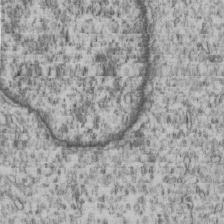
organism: Human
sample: MDA-MB-231 cells